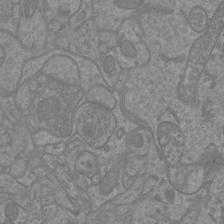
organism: Mouse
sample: Cortical neurons